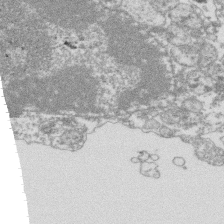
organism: Human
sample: HeLa cell HIV synapse